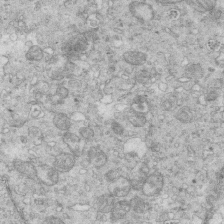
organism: Mouse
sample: Multiciliated cells